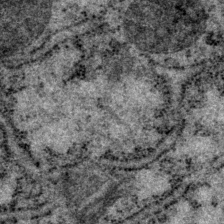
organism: P. pacificus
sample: Pharynx